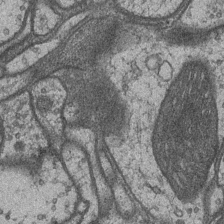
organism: Drosophila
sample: Optic medulla